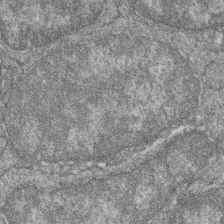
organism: Zebrafish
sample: Cilia; retinal pigment epithelium